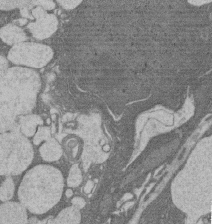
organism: Rat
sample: Salivary granule